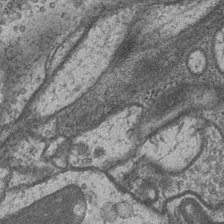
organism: Drosophila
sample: Optic medulla